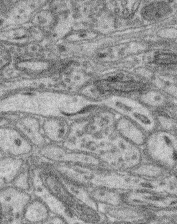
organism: Mouse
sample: Retina